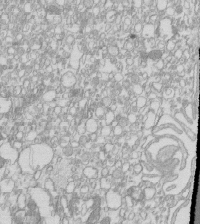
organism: Mouse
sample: Macrophages